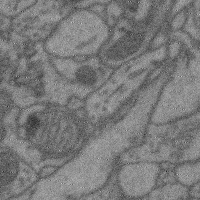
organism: Mouse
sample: Cerebral cortex